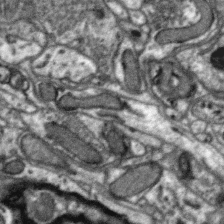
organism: Zebra finch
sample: Brain